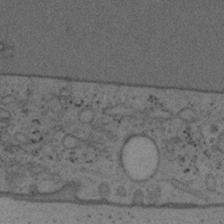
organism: Human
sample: HeLa cells